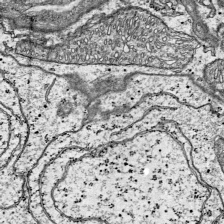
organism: Mouse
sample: Visual Cortex